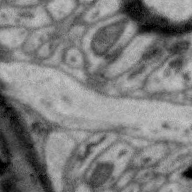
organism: Zebra finch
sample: Brain